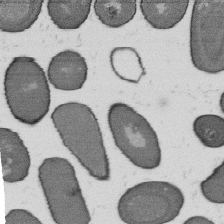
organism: B. subtilis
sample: Bacterial spore